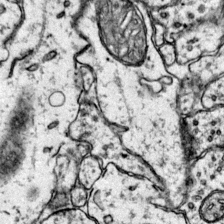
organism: Mouse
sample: Primary visual cortex